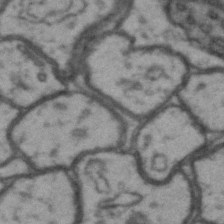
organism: Drosophila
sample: Brain